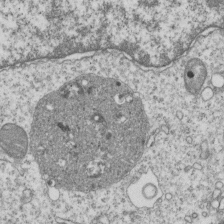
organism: Human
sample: MDA-MB-231 cells